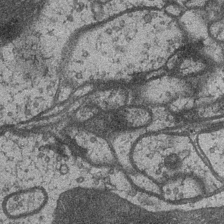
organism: Drosophila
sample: Optic medulla